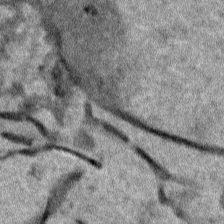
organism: Human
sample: Mitochondria in HCT116 cells